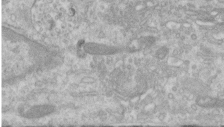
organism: Human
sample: Centriole in RPE cells